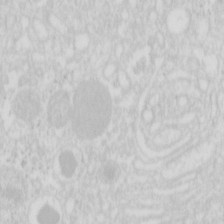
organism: Mouse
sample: Pancreas